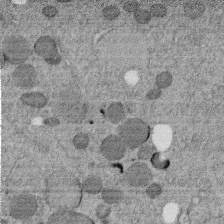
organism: C. elegans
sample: C. elegans embryo early stage